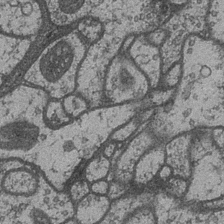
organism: Drosophila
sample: Optic medulla